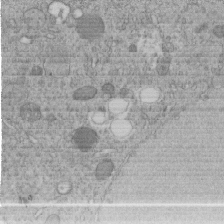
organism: C. elegans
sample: C. elegans embryo early stage